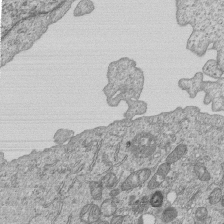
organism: Human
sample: MDA-MB-231 cells